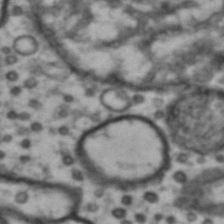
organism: Drosophila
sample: Brain